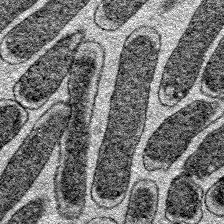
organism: E. coli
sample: E. Coli Bacteria